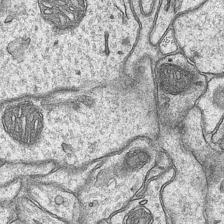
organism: Mouse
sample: CA1 Hippocampus